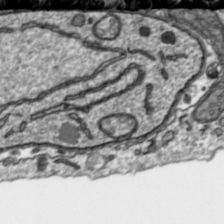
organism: Toxoplasma gondii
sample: Parasites in a vacuole inside a host cell